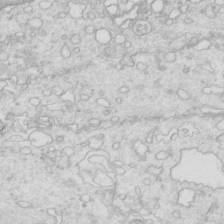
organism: Mouse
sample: Multiciliated cells